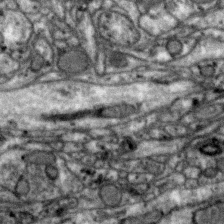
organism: Zebra finch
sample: Brain